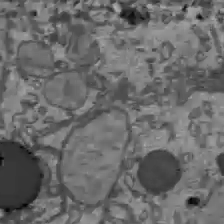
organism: C57BL Mouse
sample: Liver